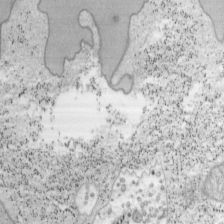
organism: Mouse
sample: OT-I killer T cells with ID8 ovarian cancer cells